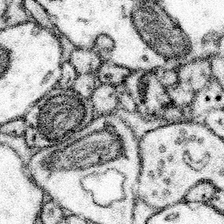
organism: Mouse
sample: Somatosensory cortex neuropil